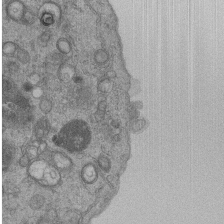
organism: Human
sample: MDA-MB-231 cells